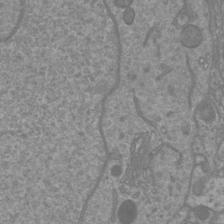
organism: Mouse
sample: Cortical neurons